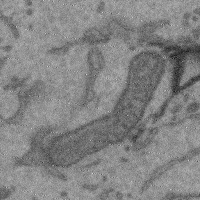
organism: Mouse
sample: Cerebral cortex